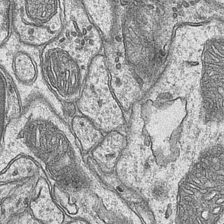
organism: Mouse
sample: CA1 Hippocampus